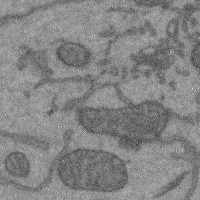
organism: Mouse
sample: Cerebral cortex